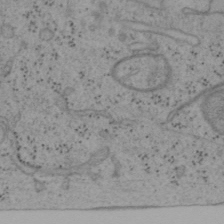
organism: Human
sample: HeLa cells